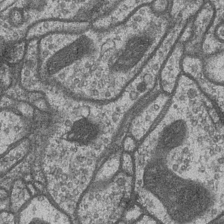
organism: Drosophila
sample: Optic medulla